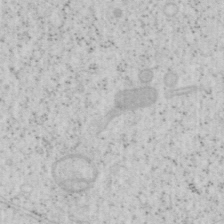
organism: Human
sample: HeLa cells